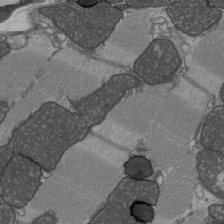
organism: C57BL Mouse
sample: Heart